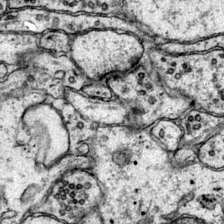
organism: Mouse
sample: Primary visual cortex